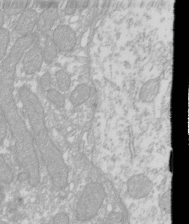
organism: Xenopus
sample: Cilia; centrioles in frog embryo cells